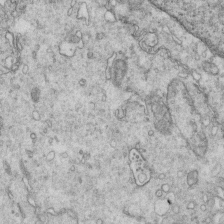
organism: Mouse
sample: Multiciliated cells